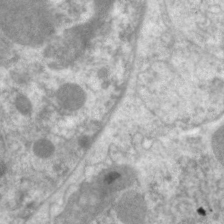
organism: C. elegans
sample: Pharynx